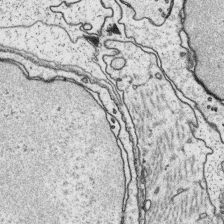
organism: Platynereis dumerilii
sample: Parapodia